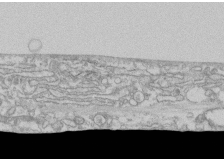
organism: Human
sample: CRL-1474